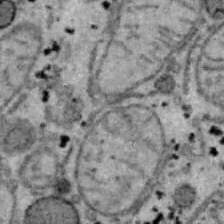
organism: Mouse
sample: Liver from an obese (ob/ob) mouse